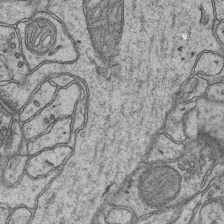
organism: Mouse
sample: CA1 Hippocampus